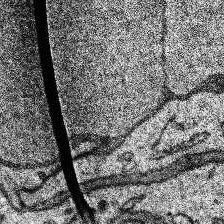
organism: Human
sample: Temporal Lobe